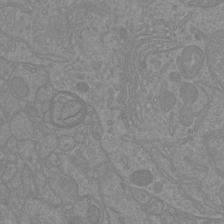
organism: Mouse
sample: Cortical neurons